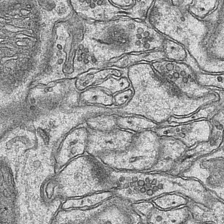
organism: Mouse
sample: CA1 Hippocampus